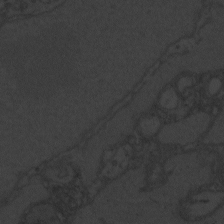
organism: Zebrafish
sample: Macrophage infected with Toxoplasma gondii